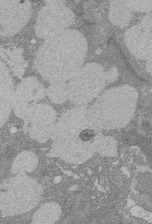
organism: Rat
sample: Salivary granule